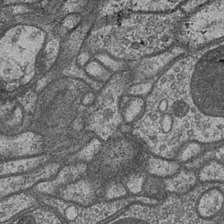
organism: Drosophila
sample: Optic medulla